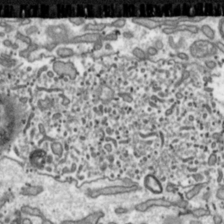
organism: Toxoplasma gondii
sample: Parasites in a vacuole inside a host cell